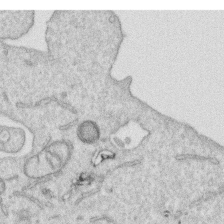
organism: Human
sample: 1205lu cells